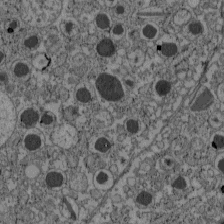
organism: C57BL Mouse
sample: Pancreatic islet